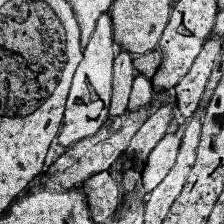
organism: Human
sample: Temporal Lobe